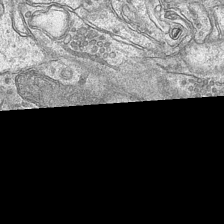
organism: Mouse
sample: CA1 Hippocampus